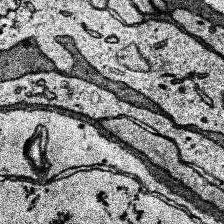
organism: Human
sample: Temporal Lobe